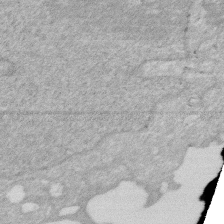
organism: Human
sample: HIV infected U937 cells